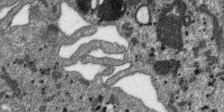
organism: Human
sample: Lung epithelial cells infected with SARS-CoV-2